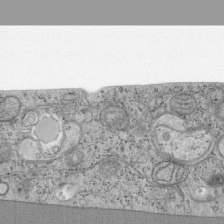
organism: Human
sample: HeLa cells